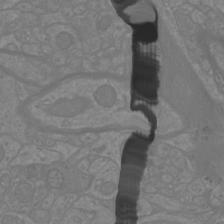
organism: Mouse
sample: Cortical neurons